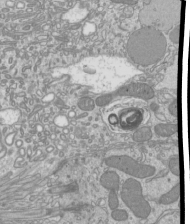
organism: Mouse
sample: Cilia; mouse epididymis